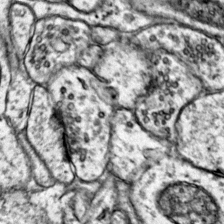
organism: Mouse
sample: Primary visual cortex